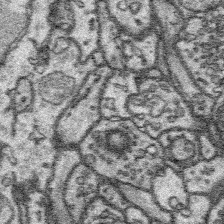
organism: Platynereis dumerilii